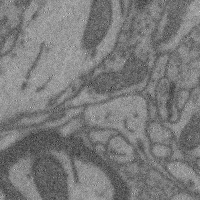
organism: Mouse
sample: Cerebral cortex